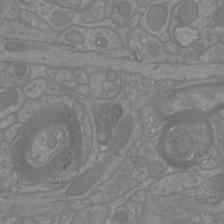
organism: Mouse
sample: Cortical neurons